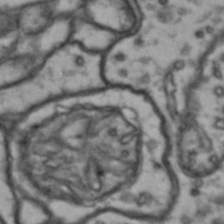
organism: Drosophila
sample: Brain